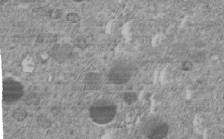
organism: C. elegans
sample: C. elegans embryo early stage